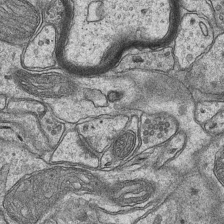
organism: Mouse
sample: CA1 Hippocampus